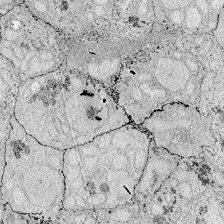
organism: Zebrafish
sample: Whole-Brain